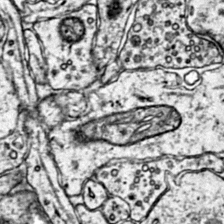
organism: Mouse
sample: Primary visual cortex